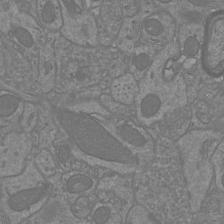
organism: Mouse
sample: Cortical neurons